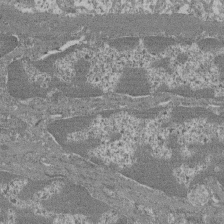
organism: Mouse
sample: Glomerulus